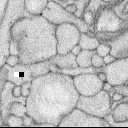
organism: Rabbit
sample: Retina